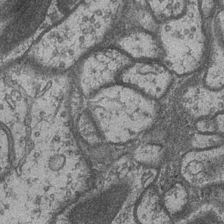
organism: Drosophila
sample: Optic medulla